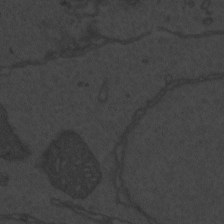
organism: Zebrafish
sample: Macrophage infected with Toxoplasma gondii